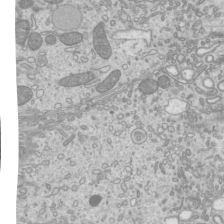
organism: Mouse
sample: Cilia; mouse epididymis